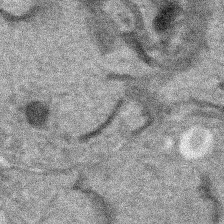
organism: Human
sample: Mitochondria in HCT116 cells